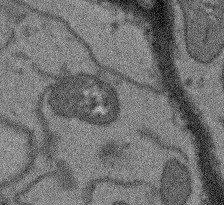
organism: Arabidopsis thaliana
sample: Root tip